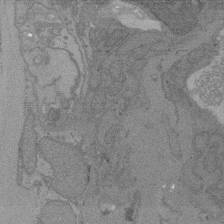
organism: C. elegans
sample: AFD neurons C. elegans